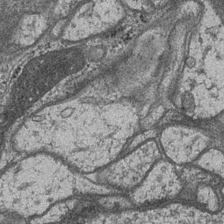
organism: Drosophila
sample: Optic medulla